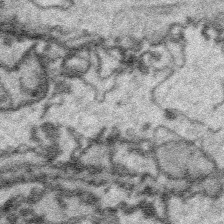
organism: Platynereis dumerilii